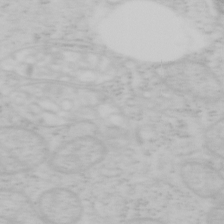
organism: Mouse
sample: OT-I killer T cells with ID8 ovarian cancer cells